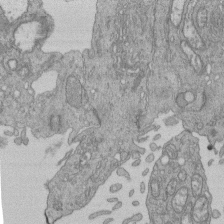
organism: Human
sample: Retinal organoid Rod and Cone cells